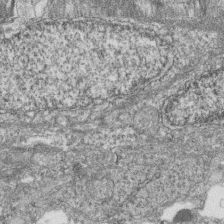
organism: Zebrafish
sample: Cilia; retinal pigment epithelium